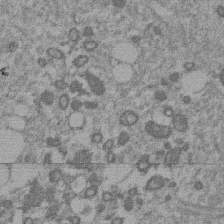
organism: Mouse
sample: Dividing mouse embryo 1 cell stage